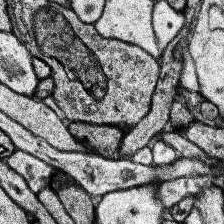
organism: Human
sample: Temporal Lobe